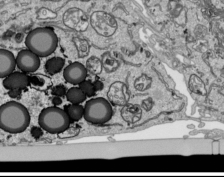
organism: Human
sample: Mitochondria in HCT116 cells